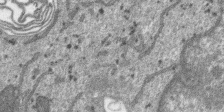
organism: Human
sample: Lung epithelial cells infected with SARS-CoV-2